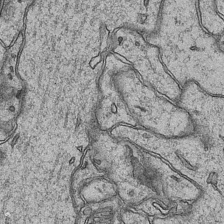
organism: Mouse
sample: CA1 Hippocampus